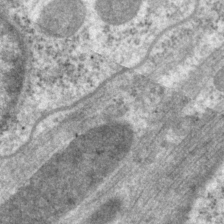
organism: P. pacificus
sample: Pharynx